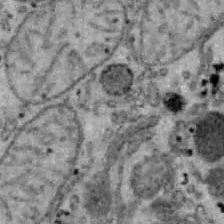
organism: Mouse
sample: Liver from an obese (ob/ob) mouse